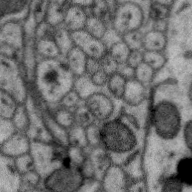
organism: Zebra finch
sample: Brain